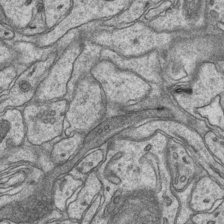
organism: Mouse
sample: CA1 Hippocampus